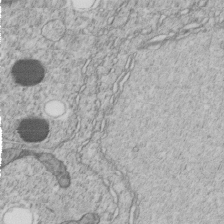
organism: C. elegans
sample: C. elegans embryo early stage